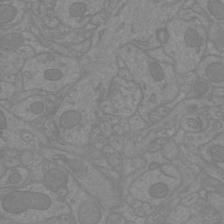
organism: Mouse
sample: Cortical neurons